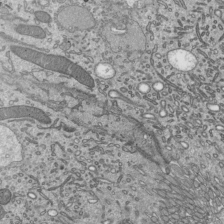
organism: Mouse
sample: Mouse epididymis efferent ductule cilia